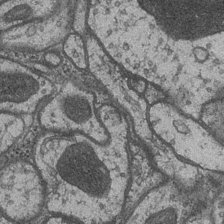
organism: Drosophila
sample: Optic medulla